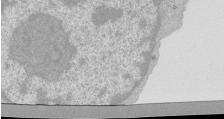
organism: Mouse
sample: Activated Pmel transgenic CD8+ T Cells